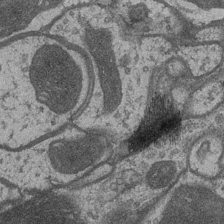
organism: Drosophila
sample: Optic medulla